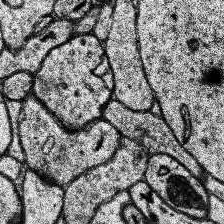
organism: Human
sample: Temporal Lobe